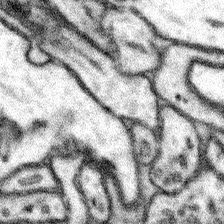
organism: Mouse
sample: Somatosensory cortex neuropil